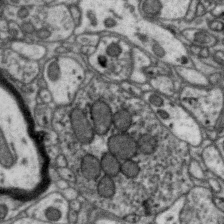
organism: Zebra finch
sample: Brain